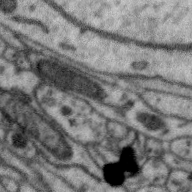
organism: Zebra finch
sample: Brain